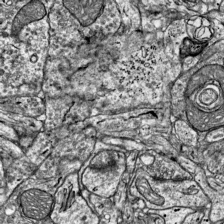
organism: Mouse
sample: Visual Cortex